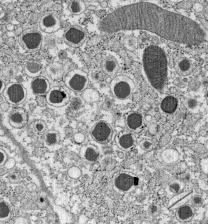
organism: C57BL Mouse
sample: Pancreatic islet